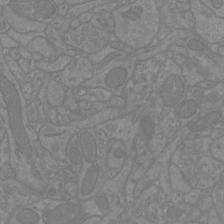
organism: Mouse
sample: Cortical neurons